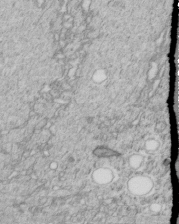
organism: C. elegans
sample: C. elegans embryo early stage